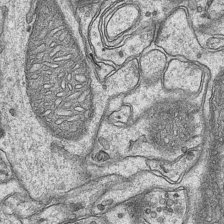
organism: Mouse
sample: CA1 Hippocampus